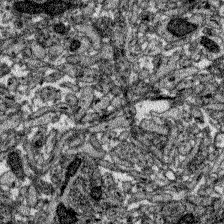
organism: Zebrafish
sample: Larval olfactory bulb